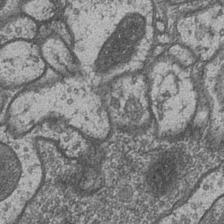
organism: Drosophila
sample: Optic medulla